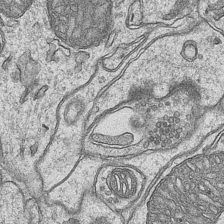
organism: Mouse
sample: CA1 Hippocampus